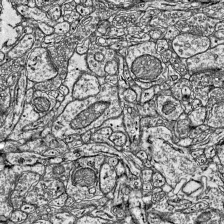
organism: Mouse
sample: Visual Cortex